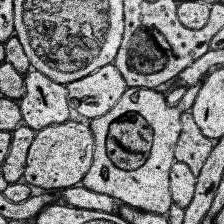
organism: Human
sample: Temporal Lobe